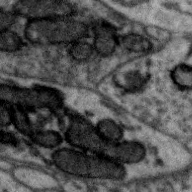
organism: Zebra finch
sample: Brain